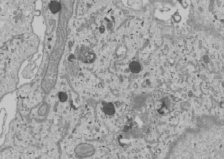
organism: Human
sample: Mitochondria in U2OS cells